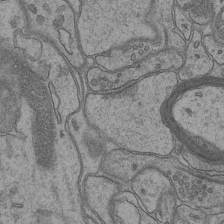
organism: Mouse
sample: CA1 Hippocampus